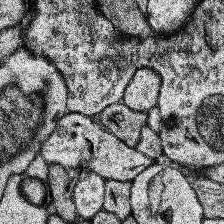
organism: Human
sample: Temporal Lobe